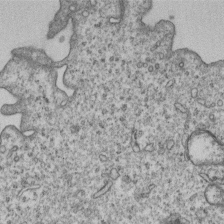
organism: Human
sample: MDA-MB-231 cells